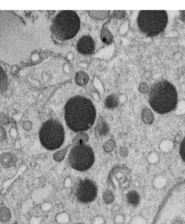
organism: C. elegans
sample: C. elegans oocyte; sperm cells